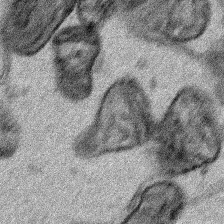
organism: Human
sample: Mitochondria in HCT116 cells